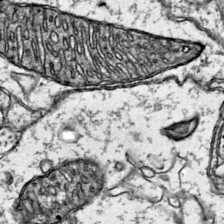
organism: Mouse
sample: Primary visual cortex